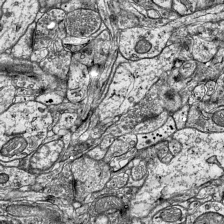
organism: Mouse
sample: Visual Cortex